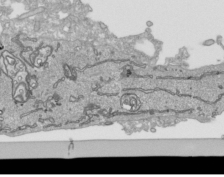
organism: Human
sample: Mitochondria in HCT116 cells